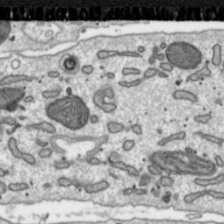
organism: Toxoplasma gondii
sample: Parasites in a vacuole inside a host cell